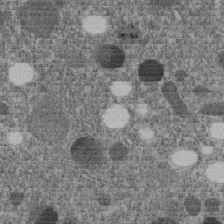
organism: C. elegans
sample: C. elegans embryo early stage